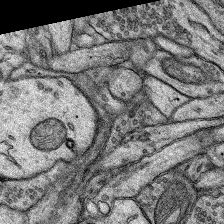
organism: Rat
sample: Hippocampus